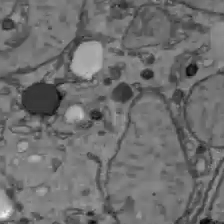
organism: C57BL Mouse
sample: Liver